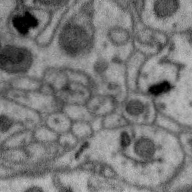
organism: Zebra finch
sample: Brain